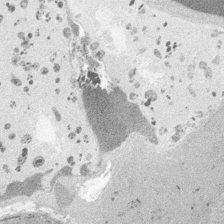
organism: Embia sp.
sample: Silk gland